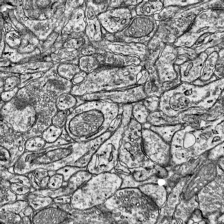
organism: Mouse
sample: Visual Cortex